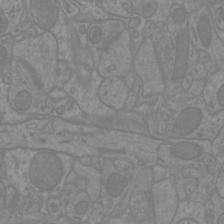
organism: Mouse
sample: Cortical neurons